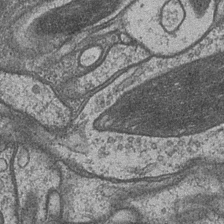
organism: Drosophila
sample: Optic medulla